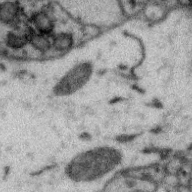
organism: Zebra finch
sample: Brain